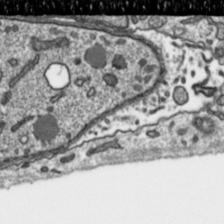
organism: Toxoplasma gondii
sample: Parasites in a vacuole inside a host cell